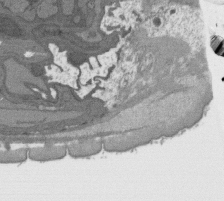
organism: C. elegans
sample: AFD neurons C. elegans